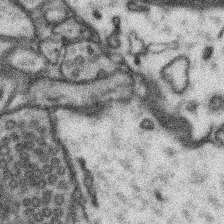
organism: Mouse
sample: Somatosensory cortex neuropil